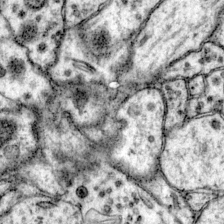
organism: Mouse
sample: Primary visual cortex